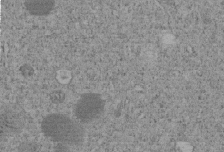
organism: C. elegans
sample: C. elegans embryo early stage